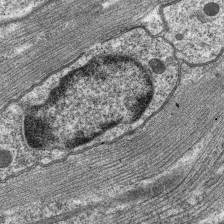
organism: C. elegans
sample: Pharynx